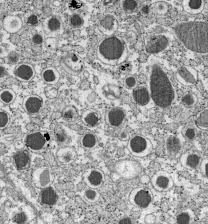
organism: C57BL Mouse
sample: Pancreatic islet